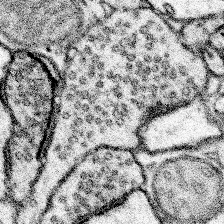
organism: Mouse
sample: Somatosensory cortex neuropil